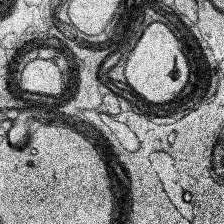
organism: Human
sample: Temporal Lobe